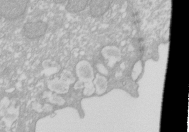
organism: Xenopus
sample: Cilia; centrioles in frog embryo cells